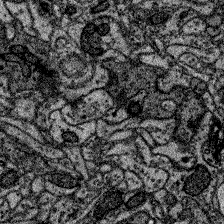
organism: Zebrafish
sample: Larval olfactory bulb